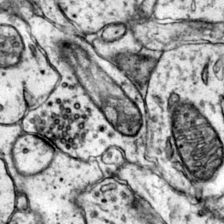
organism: Mouse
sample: Primary visual cortex